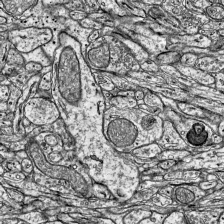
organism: Mouse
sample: Visual Cortex